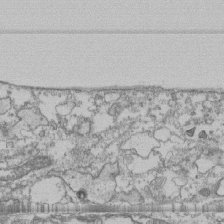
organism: Human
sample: Fibroblast cells